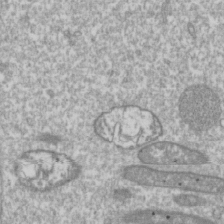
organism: Drosophila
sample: Cell division; meiosis; drosophila spermatocytes